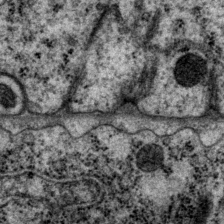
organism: P. pacificus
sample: Pharynx